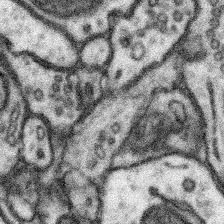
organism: Mouse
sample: Somatosensory cortex neuropil